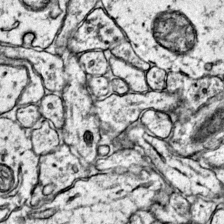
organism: Mouse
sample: Primary visual cortex